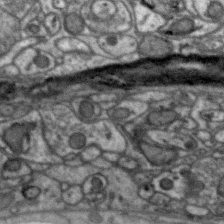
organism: Zebra finch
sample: Brain